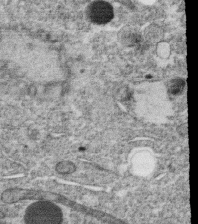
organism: C. elegans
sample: C. elegans oocyte; sperm cells